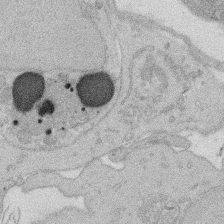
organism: Rat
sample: Salivary granule